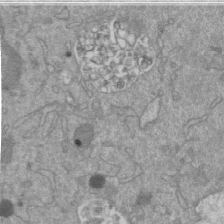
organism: Mouse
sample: ED-1 cell nuclei; centrioles